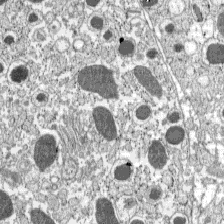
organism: C57BL Mouse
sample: Pancreatic islet